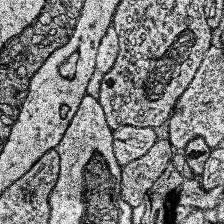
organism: Human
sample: Temporal Lobe